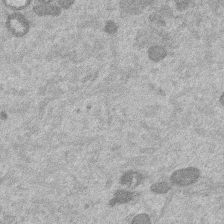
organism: Mouse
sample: Dividing mouse embryo 1 cell stage